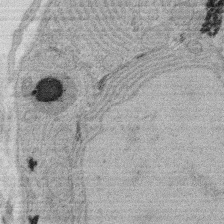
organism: Rat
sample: Salivary granule